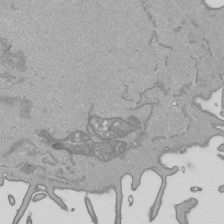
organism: Human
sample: Mitochondria in HCT116 cells